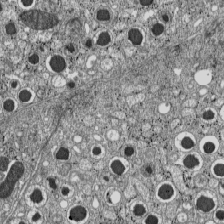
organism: C57BL Mouse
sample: Pancreatic islet